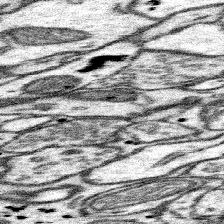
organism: Mouse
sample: Somatosensory cortex neuropil